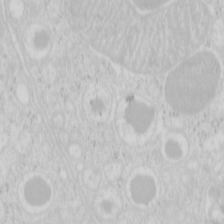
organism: Mouse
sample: Pancreas